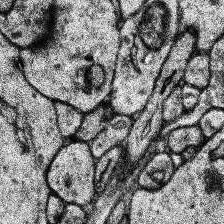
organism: Human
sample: Temporal Lobe